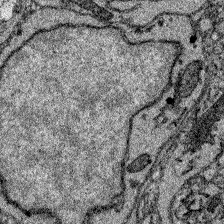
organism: Zebrafish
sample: Larval olfactory bulb